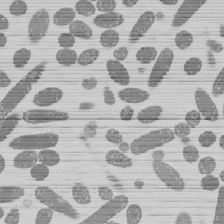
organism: E. coli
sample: Bacterial nucleoid